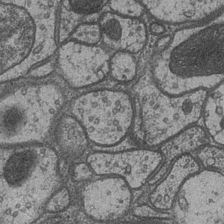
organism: Drosophila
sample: Optic medulla